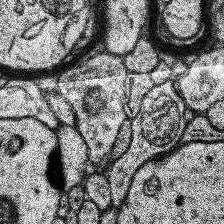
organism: Human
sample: Temporal Lobe